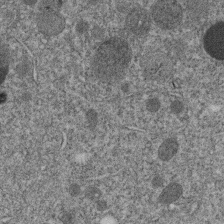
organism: C. elegans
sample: C. elegans embryo early stage